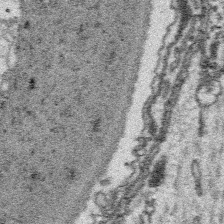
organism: Platynereis dumerilii